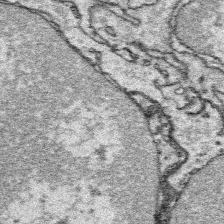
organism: Platynereis dumerilii